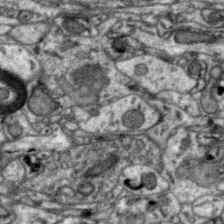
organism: Zebra finch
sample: Brain